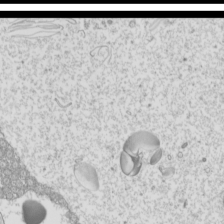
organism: Mouse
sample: Cilia; mouse epididymis